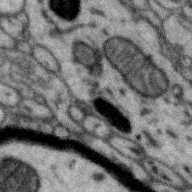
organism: Zebra finch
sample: Brain